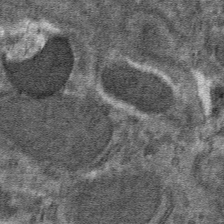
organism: Mouse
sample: Mouse hepatocytes